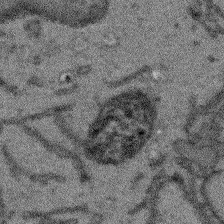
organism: Arabidopsis thaliana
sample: Root tip